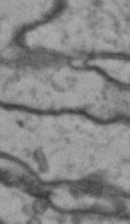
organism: Drosophila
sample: Brain